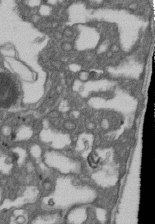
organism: Drosophila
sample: Nephrocyte